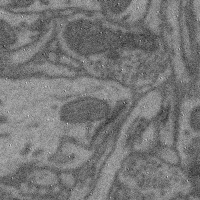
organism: Mouse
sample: Cerebral cortex